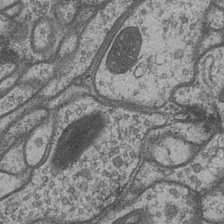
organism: Drosophila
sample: Optic medulla